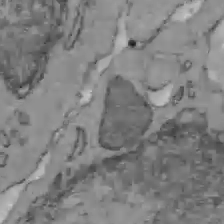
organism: C57BL Mouse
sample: Liver